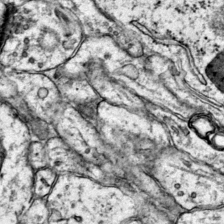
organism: Mouse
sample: Primary visual cortex